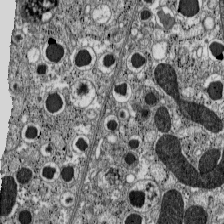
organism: C57BL Mouse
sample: Pancreatic islet